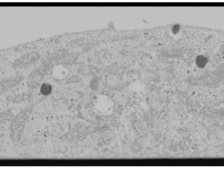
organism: Human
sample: Mitochondria in U2OS cells